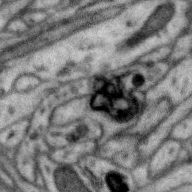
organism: Zebra finch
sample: Brain